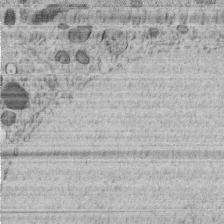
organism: C. elegans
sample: C. elegans embryo early stage